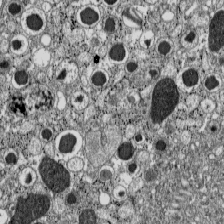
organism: C57BL Mouse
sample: Pancreatic islet